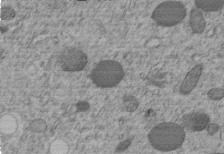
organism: C. elegans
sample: C. elegans embryo early stage